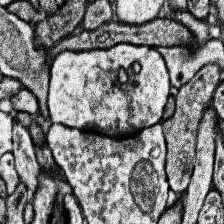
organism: Human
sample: Temporal Lobe